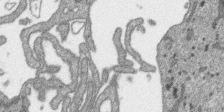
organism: Human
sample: Lung epithelial cells infected with SARS-CoV-2